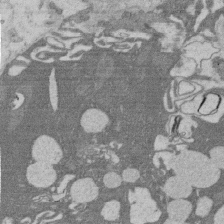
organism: Rat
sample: Salivary granule